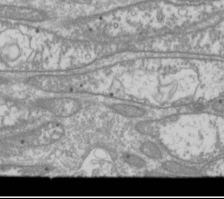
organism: Drosophila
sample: Cell division; meiosis; drosophila spermatocytes